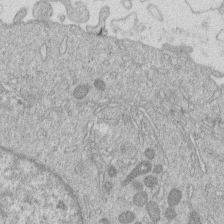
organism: Human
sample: Macrophage cells